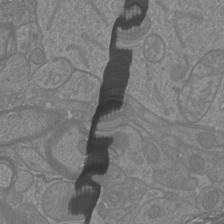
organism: Mouse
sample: Cortical neurons